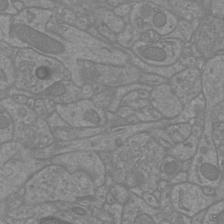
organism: Mouse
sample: Cortical neurons